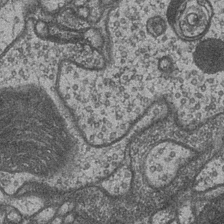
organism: Drosophila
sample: Optic medulla